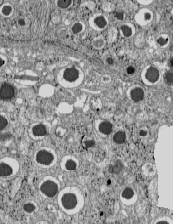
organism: C57BL Mouse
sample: Pancreatic islet